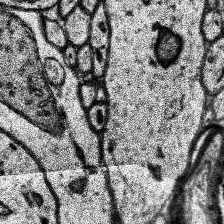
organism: Human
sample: Temporal Lobe